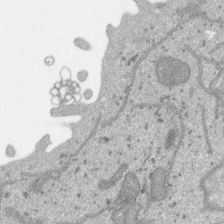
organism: Human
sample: Lung epithelial cells infected with SARS-CoV-2